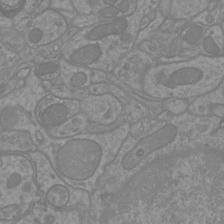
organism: Mouse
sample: Cortical neurons